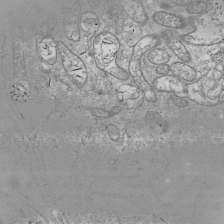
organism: Drosophila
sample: Cell division; meiosis; drosophila spermatocytes